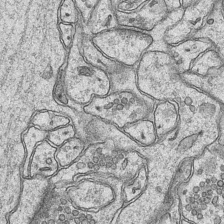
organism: Mouse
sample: CA1 Hippocampus